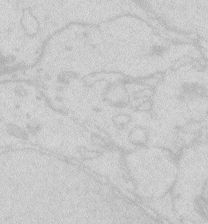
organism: Zebrafish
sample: Macrophage